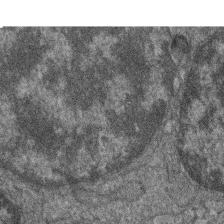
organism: Zebrafish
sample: Cilia; retinal pigment epithelium